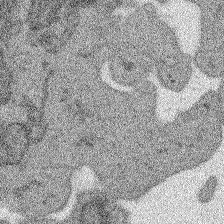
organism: Human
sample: HeLa cells